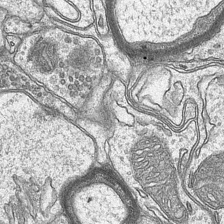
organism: Mouse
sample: CA1 Hippocampus